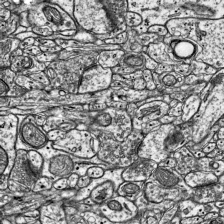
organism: Mouse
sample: Visual Cortex